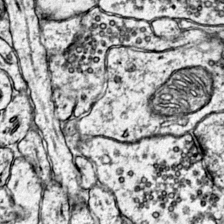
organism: Mouse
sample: Primary visual cortex